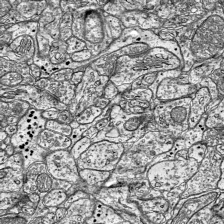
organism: Mouse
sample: Visual Cortex